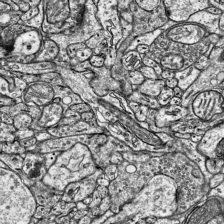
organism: Mouse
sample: Visual Cortex